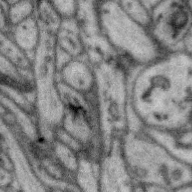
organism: Zebra finch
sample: Brain